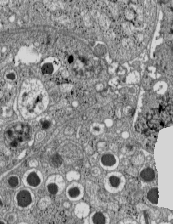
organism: C57BL Mouse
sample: Pancreatic islet